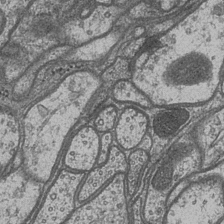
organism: Drosophila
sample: Optic medulla